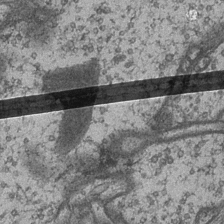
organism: Drosophila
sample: Optic medulla